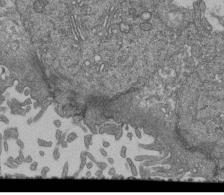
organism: Human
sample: Retinal organoid Rod and Cone cells